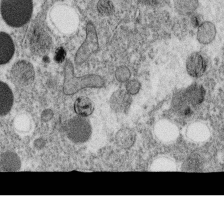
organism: C. elegans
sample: C. elegans oocyte; sperm cells